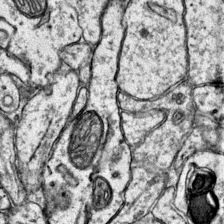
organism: Mouse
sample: Primary visual cortex